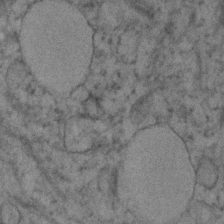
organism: Human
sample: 1205lu cells